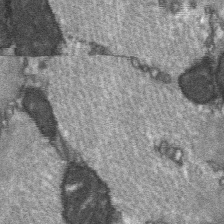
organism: C57BL Mouse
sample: Soleus